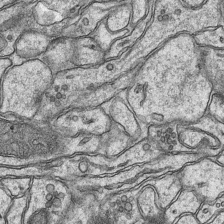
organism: Mouse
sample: CA1 Hippocampus